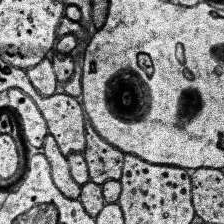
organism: Human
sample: Temporal Lobe